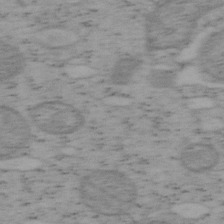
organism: Mouse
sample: OT-I killer T cells with ID8 ovarian cancer cells